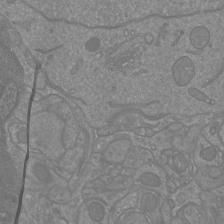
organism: Mouse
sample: Cortical neurons